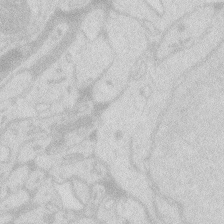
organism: Zebrafish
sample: Macrophage